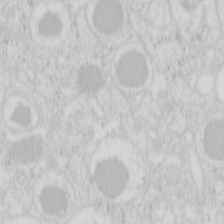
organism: Mouse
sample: Pancreas